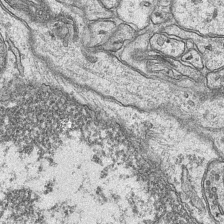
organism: Mouse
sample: CA1 Hippocampus